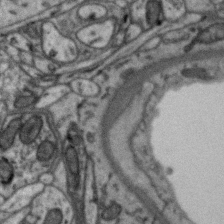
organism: Zebra finch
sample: Brain